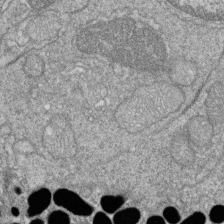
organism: Zebrafish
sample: Cilia; retinal pigment epithelium